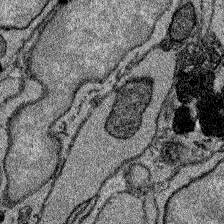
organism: Zebrafish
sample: Larval olfactory bulb